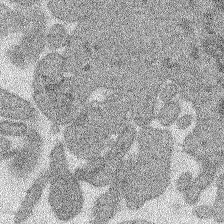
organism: Human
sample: HeLa cells